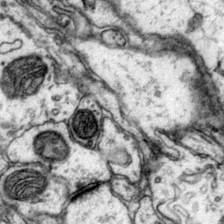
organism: Mouse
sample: Primary visual cortex